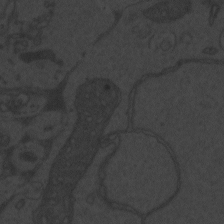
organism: Zebrafish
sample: Macrophage infected with Toxoplasma gondii